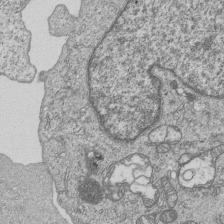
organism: Human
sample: MDA-MB-231 cells